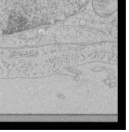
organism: Human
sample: Mitochondria in HCT116 cells